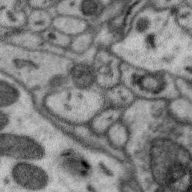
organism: Zebra finch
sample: Brain